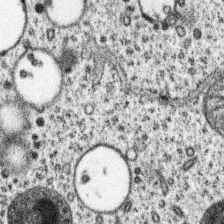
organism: Human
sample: HeLa cells